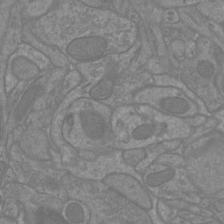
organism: Mouse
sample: Cortical neurons